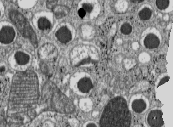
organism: C57BL Mouse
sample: Pancreatic islet